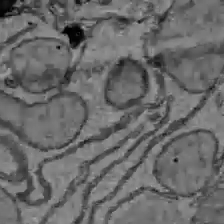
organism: C57BL Mouse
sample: Liver